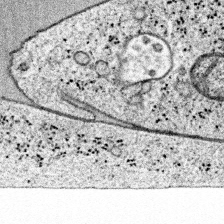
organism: Human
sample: HeLa cells